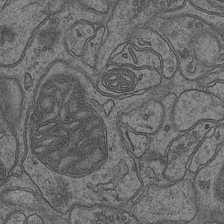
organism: Mouse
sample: CA1 Hippocampus